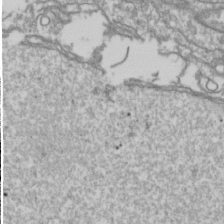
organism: Drosophila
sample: Cell division; meiosis; drosophila spermatocytes